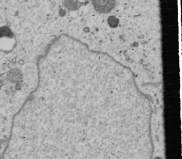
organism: Human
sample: Mitochondria in U2OS cells